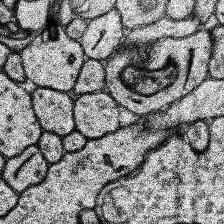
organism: Human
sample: Temporal Lobe